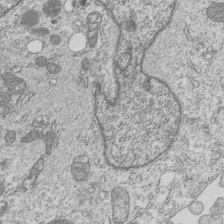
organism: Human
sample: MDA-MB-231 cells